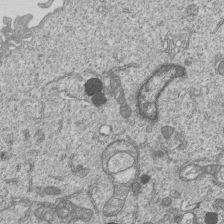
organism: Human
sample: MDA-MB-231 cells